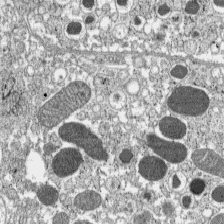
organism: C57BL Mouse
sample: Pancreatic islet